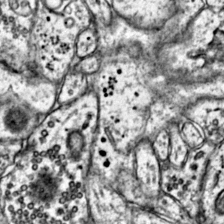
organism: Mouse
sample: Primary visual cortex